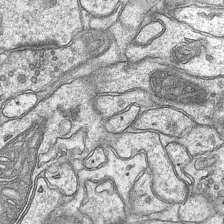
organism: Mouse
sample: CA1 Hippocampus